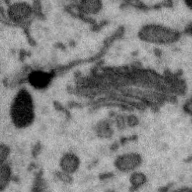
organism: Zebra finch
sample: Brain